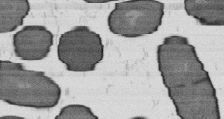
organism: B. subtilis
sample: Bacterial spore